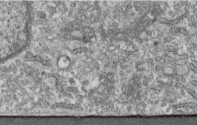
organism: Human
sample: Centriole in fibroblast cells